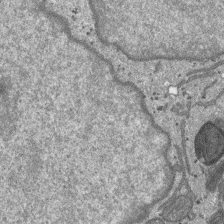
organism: Human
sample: Lung epithelial cells infected with SARS-CoV-2